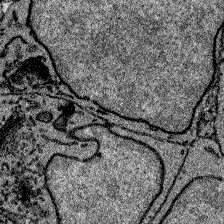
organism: Zebrafish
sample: Larval olfactory bulb